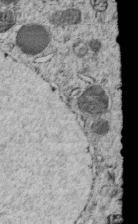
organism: C. elegans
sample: C. elegans embryo early stage